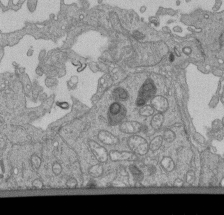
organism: Human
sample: Retinal organoid Rod and Cone cells